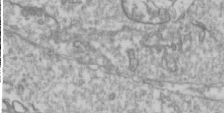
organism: Drosophila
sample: Cell division; meiosis; drosophila spermatocytes